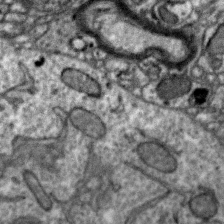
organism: Zebra finch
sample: Brain